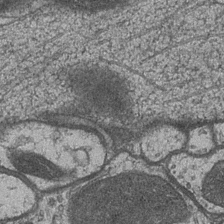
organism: Drosophila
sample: Optic medulla